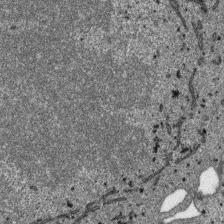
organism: Human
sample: Lung epithelial cells infected with SARS-CoV-2